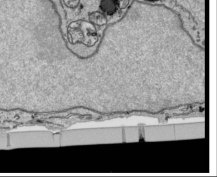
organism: Human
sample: Mitochondria in HCT116 cells